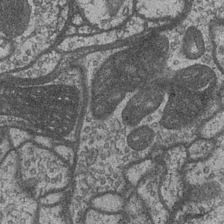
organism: Drosophila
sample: Optic medulla